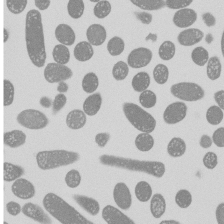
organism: E. coli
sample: Bacterial nucleoid